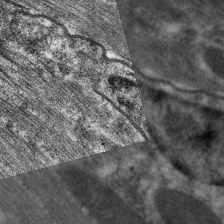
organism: C. elegans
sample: Pharynx